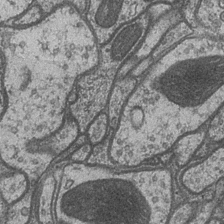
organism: Drosophila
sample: Optic medulla